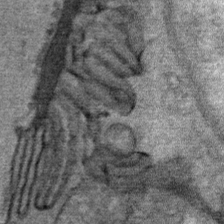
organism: Mouse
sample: Mouse Salivary gland